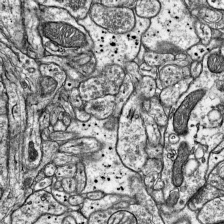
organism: Mouse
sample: Visual Cortex